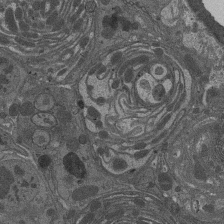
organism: Drosophila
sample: Antenna